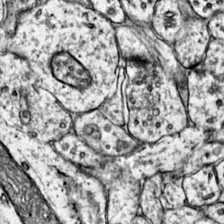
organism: Mouse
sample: Primary visual cortex